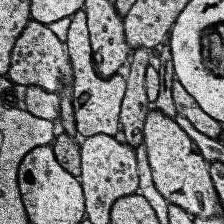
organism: Human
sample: Temporal Lobe